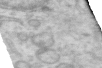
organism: Human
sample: Centriole in RPE cells